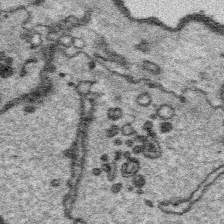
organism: Platynereis dumerilii